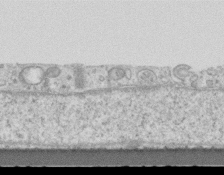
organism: Mouse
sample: Centriole in ependymal cells